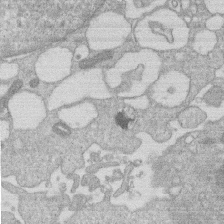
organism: Human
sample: Macrophage cells